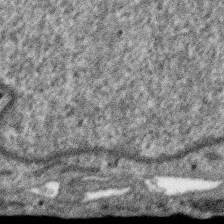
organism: Human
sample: Lung epithelial cells infected with SARS-CoV-2